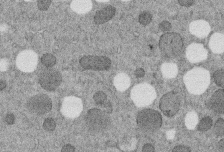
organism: C. elegans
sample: C. elegans embryo early stage